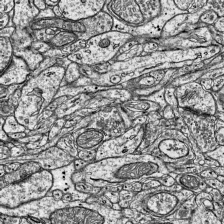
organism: Mouse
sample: Visual Cortex